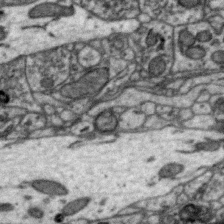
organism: Zebra finch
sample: Brain